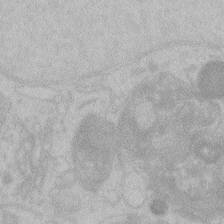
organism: Zebrafish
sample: Macrophage infected with Toxoplasma gondii